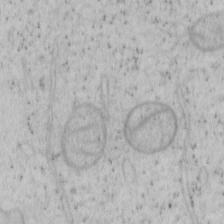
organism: Human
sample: HeLa cells